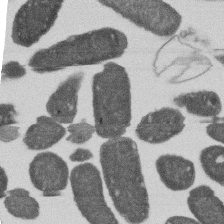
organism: E. coli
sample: Bacterial nucleoid